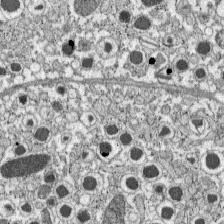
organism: C57BL Mouse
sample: Pancreatic islet